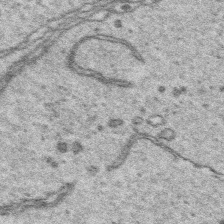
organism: Platynereis dumerilii